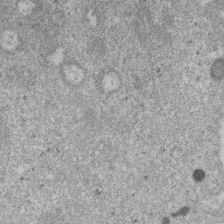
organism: Mouse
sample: Dividing mouse embryo 1 cell stage